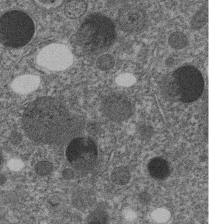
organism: C. elegans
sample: C. elegans embryo early stage